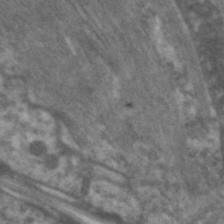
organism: C. elegans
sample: Pharynx